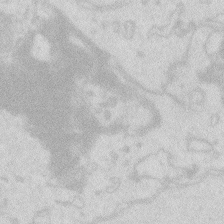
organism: Zebrafish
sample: Macrophage